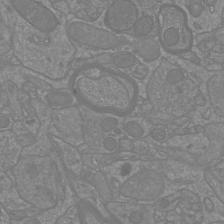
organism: Mouse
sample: Cortical neurons